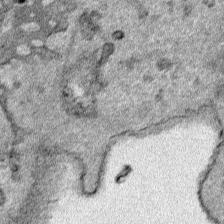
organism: Human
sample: Mitochondria in HCT116 cells